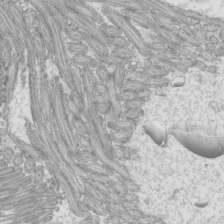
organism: Mouse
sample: Cilia; mouse epididymis